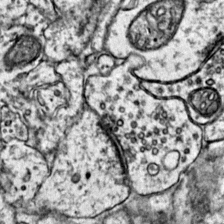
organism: Mouse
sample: Primary visual cortex